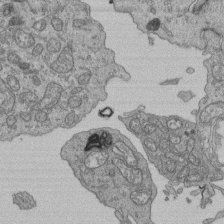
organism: Human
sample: Retinal organoid Rod and Cone cells